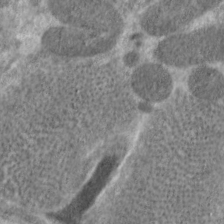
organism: C. elegans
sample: Pharynx